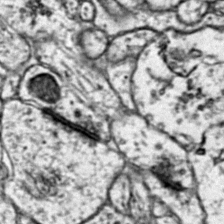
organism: Mouse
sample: Primary visual cortex